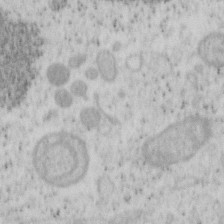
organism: Human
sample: HeLa cells